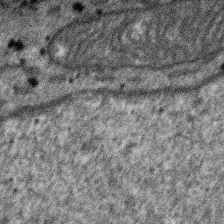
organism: Human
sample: Lung epithelial cells infected with SARS-CoV-2